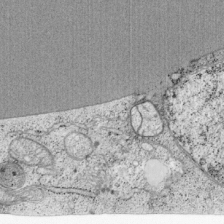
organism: African green monkey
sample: COS-7 cells